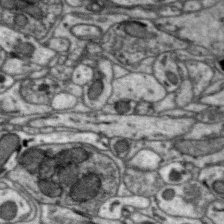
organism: Zebra finch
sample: Brain